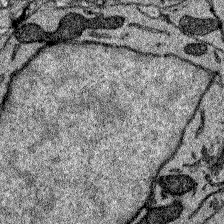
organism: Zebrafish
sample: Larval olfactory bulb